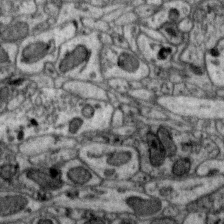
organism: Zebra finch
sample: Brain